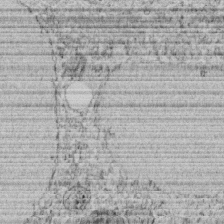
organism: C. elegans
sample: C. elegans embryo early stage